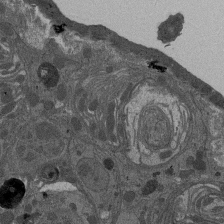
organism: Drosophila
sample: Antenna